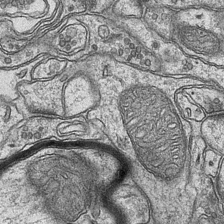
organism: Mouse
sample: CA1 Hippocampus